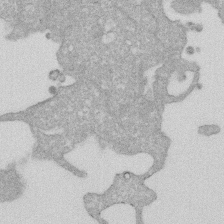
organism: Human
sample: HIV infected U937 cells